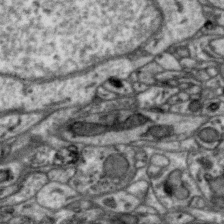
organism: Zebra finch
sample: Brain